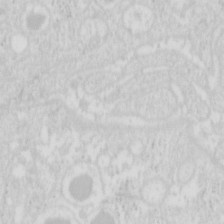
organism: Mouse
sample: Pancreas